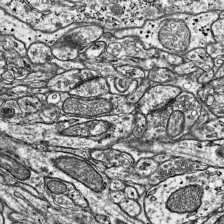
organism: Mouse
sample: Visual Cortex